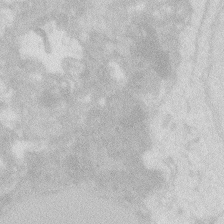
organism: Zebrafish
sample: Macrophage